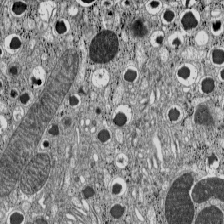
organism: C57BL Mouse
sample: Pancreatic islet